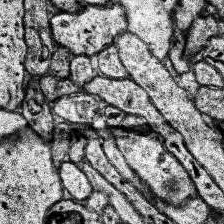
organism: Human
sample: Temporal Lobe